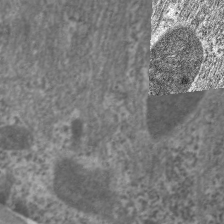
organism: C. elegans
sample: Pharynx